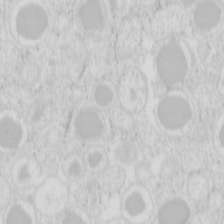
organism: Mouse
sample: Pancreas